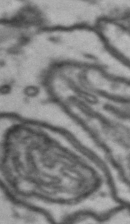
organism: Drosophila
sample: Brain